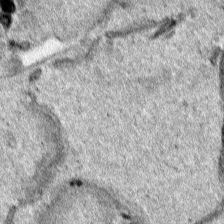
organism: Human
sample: Mitochondria in HCT116 cells